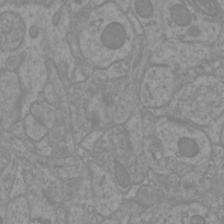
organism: Mouse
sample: Cortical neurons